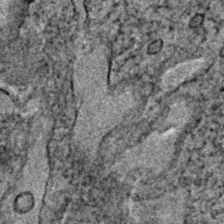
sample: Trachea